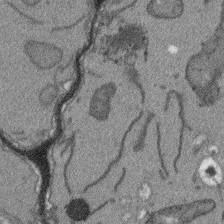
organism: Arabidopsis thaliana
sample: Root tip